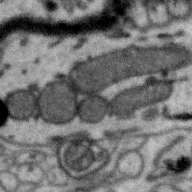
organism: Zebra finch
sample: Brain